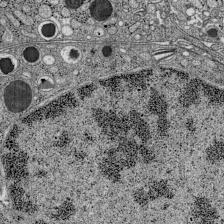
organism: C57BL Mouse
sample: Pancreatic islet